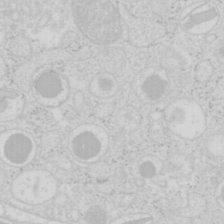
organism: Mouse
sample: Pancreas